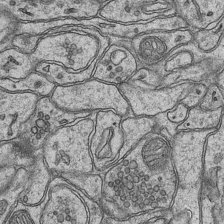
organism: Mouse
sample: CA1 Hippocampus